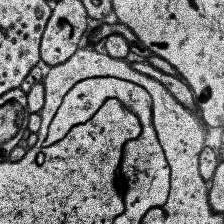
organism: Human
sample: Temporal Lobe